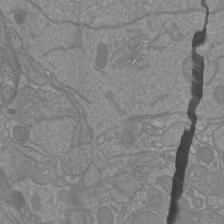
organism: Mouse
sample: Cortical neurons